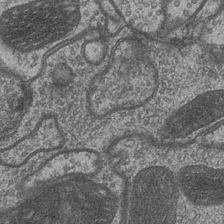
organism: Drosophila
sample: Optic medulla